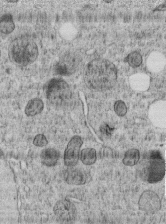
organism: C. elegans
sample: C. elegans embryo early stage